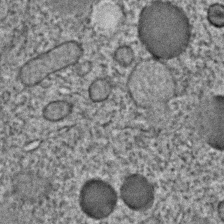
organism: C. elegans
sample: C. elegans embryo